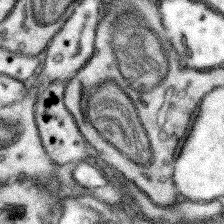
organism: Mouse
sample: Somatosensory cortex neuropil